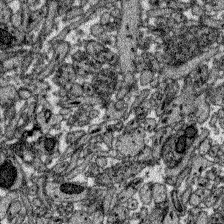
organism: Zebrafish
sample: Larval olfactory bulb